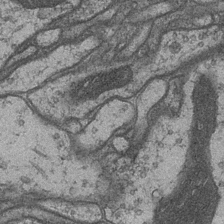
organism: Drosophila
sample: Optic medulla